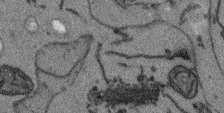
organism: Arabidopsis thaliana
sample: Root tip